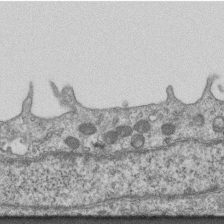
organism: Mouse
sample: Centriole in ependymal cells